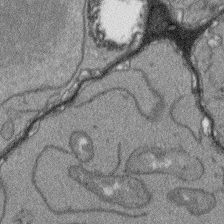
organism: Arabidopsis thaliana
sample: Root tip